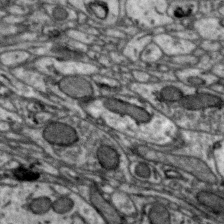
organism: Zebra finch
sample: Brain